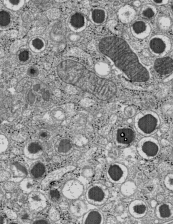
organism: C57BL Mouse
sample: Pancreatic islet